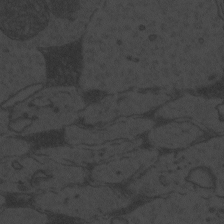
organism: Zebrafish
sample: Macrophage infected with Toxoplasma gondii